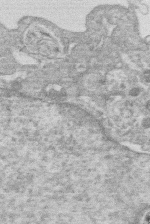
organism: Human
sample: Macrophage cells